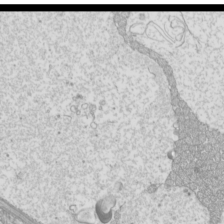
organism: Mouse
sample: Cilia; mouse epididymis